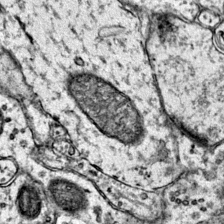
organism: Mouse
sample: Primary visual cortex